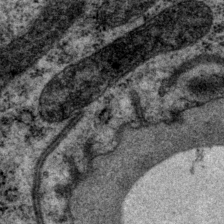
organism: P. pacificus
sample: Pharynx